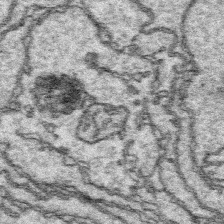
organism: Platynereis dumerilii